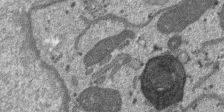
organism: Human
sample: Lung epithelial cells infected with SARS-CoV-2